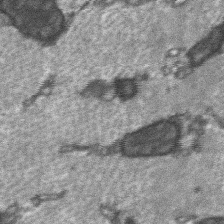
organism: C57BL Mouse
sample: Soleus